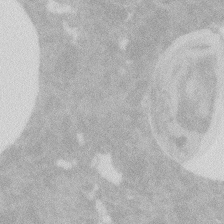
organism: Zebrafish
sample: Macrophage